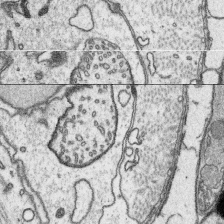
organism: Platynereis dumerilii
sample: Parapodia